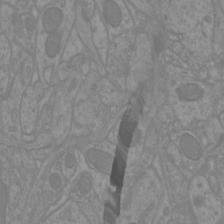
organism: Mouse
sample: Cortical neurons